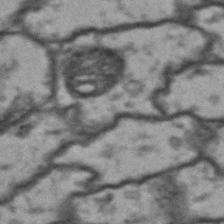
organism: Drosophila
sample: Brain